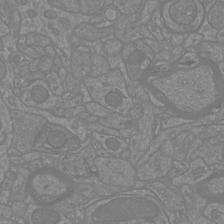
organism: Mouse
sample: Cortical neurons